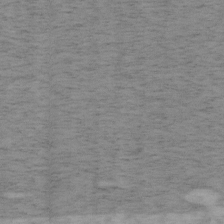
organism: Mouse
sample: OT-I killer T cells with ID8 ovarian cancer cells